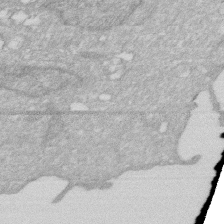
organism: Human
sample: HIV infected U937 cells